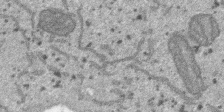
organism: Human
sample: Lung epithelial cells infected with SARS-CoV-2